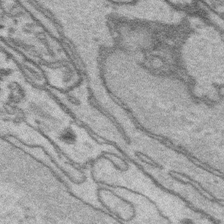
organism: Platynereis dumerilii